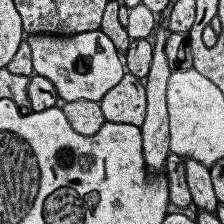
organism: Human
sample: Temporal Lobe